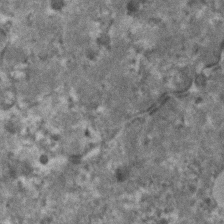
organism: Human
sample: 1205lu cells